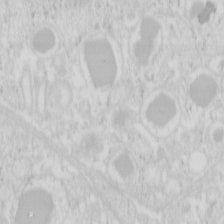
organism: Mouse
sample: Pancreas